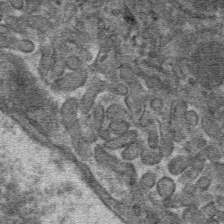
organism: Mouse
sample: Mouse hepatocytes